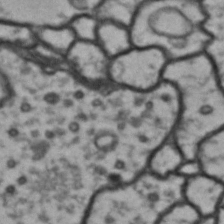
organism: Drosophila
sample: Brain